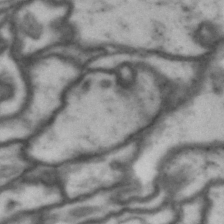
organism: Drosophila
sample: Brain